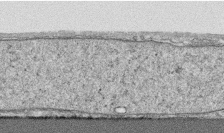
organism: Human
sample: CRL-1474